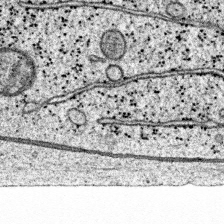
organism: Human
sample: HeLa cells